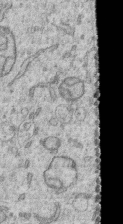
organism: Human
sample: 1205lu cells